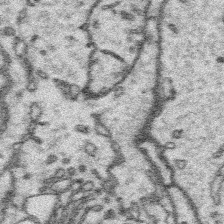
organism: Platynereis dumerilii